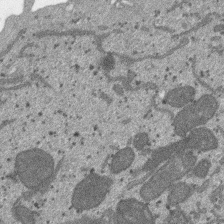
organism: Human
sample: Lung epithelial cells infected with SARS-CoV-2